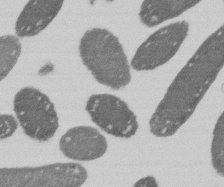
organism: E. coli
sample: Bacterial nucleoid